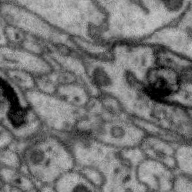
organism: Zebra finch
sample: Brain